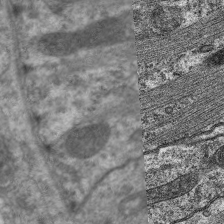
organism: C. elegans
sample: Pharynx